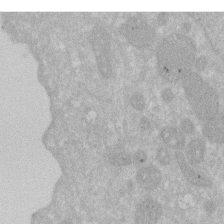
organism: Human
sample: HIV infected U937 cells